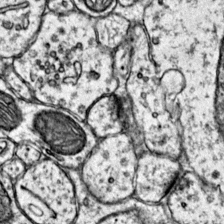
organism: Mouse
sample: Primary visual cortex